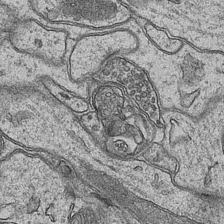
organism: Mouse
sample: CA1 Hippocampus